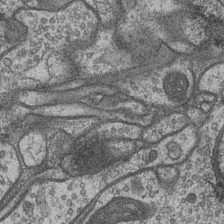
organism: Drosophila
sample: Optic medulla